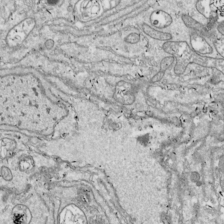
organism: Drosophila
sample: Cell division; meiosis; drosophila spermatocytes